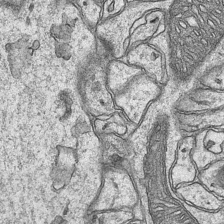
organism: Mouse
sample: CA1 Hippocampus